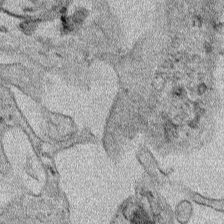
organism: Human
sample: Mitochondria in HCT116 cells